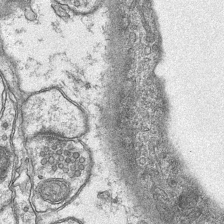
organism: Mouse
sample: CA1 Hippocampus